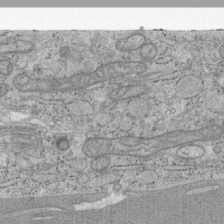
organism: Human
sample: HeLa cells